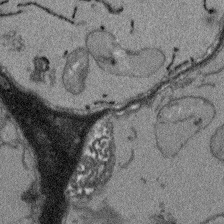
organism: Arabidopsis thaliana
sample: Root tip